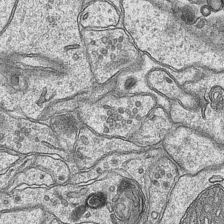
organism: Mouse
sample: CA1 Hippocampus